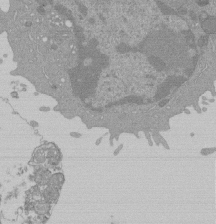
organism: Mouse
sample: Activated Pmel transgenic CD8+ T Cells